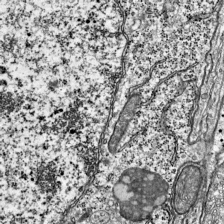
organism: Mouse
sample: Visual Cortex